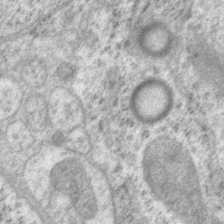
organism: P. pacificus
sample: Pharynx